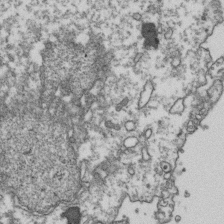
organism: Human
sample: Activated Jurkat CD4+ T cells